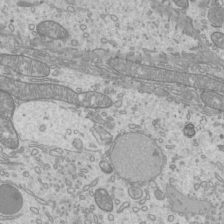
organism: Mouse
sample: Cilia; mouse epididymis